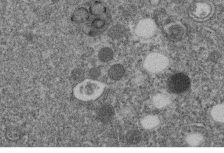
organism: C. elegans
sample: C. elegans embryo early stage